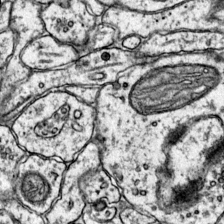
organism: Mouse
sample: Primary visual cortex